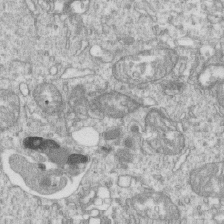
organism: Mouse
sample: Activated OT-1 CD8+ T cells